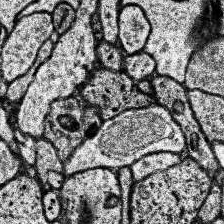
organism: Human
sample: Temporal Lobe